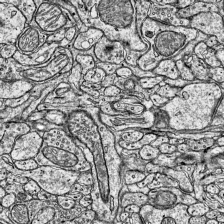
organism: Mouse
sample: Visual Cortex